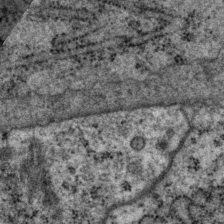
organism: P. pacificus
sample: Pharynx